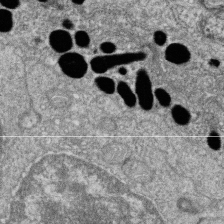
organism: Zebrafish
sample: Cilia; retinal pigment epithelium